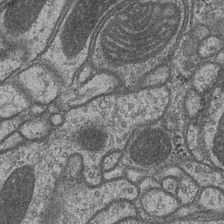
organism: Drosophila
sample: Optic medulla